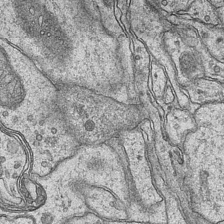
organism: Mouse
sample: CA1 Hippocampus